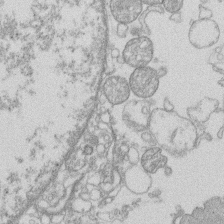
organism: Human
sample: Macrophage cells